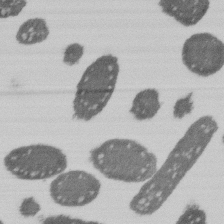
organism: E. coli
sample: Bacterial nucleoid